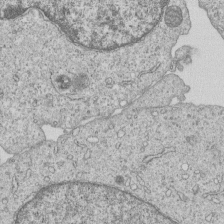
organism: Human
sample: MDA-MB-231 cells